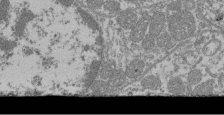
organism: Mouse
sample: Glomerulus